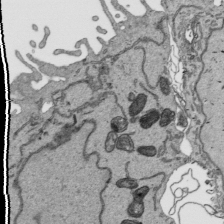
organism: Human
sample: Mitochondria in HCT116 cells